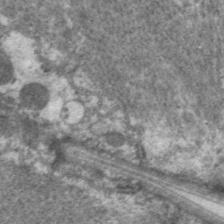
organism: C. elegans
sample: Pharynx